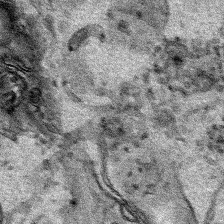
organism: Human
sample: Mitochondria in HCT116 cells